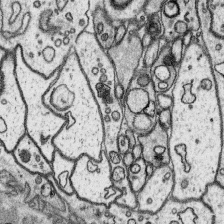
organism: Platynereis dumerilii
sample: Parapodia